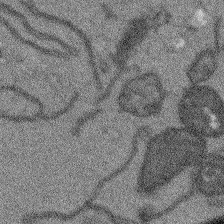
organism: Arabidopsis thaliana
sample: Root tip